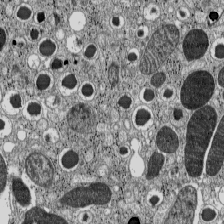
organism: C57BL Mouse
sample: Pancreatic islet